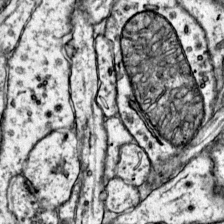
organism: Mouse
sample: Primary visual cortex